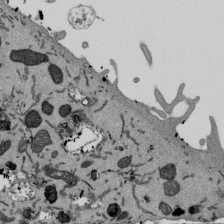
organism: Mouse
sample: ED-1 cell nuclei; centrioles